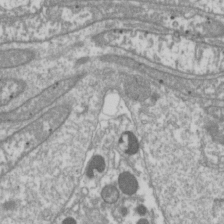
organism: Drosophila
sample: Cell division; meiosis; drosophila spermatocytes